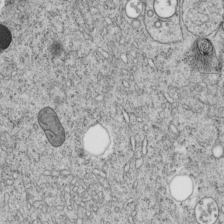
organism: C. elegans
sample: C. elegans embryo early stage